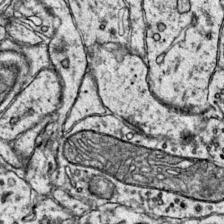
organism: Mouse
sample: Primary visual cortex